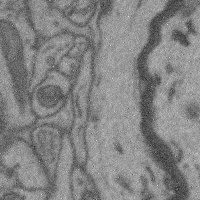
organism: Mouse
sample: Cerebral cortex